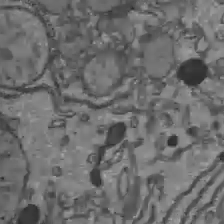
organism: C57BL Mouse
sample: Liver